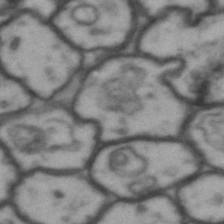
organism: Drosophila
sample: Brain